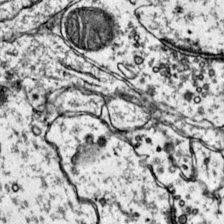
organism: Mouse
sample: Primary visual cortex